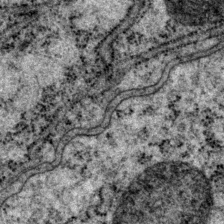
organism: P. pacificus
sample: Pharynx